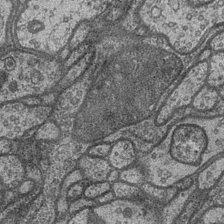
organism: Drosophila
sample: Optic medulla